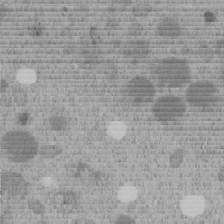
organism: C. elegans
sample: C. elegans embryo early stage